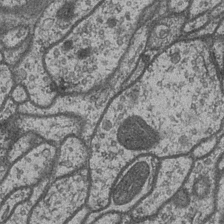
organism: Drosophila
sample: Optic medulla